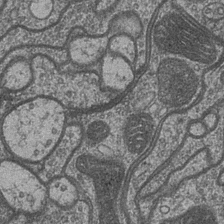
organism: Drosophila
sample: Optic medulla